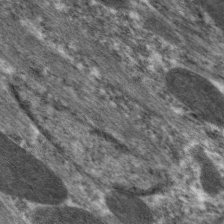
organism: C. elegans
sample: Pharynx